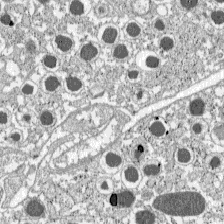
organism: C57BL Mouse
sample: Pancreatic islet